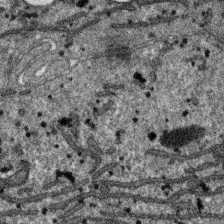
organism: Human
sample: Lung epithelial cells infected with SARS-CoV-2